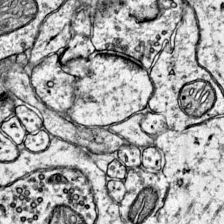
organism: Mouse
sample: Primary visual cortex